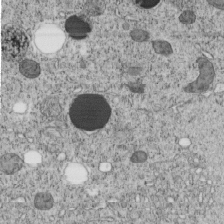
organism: C. elegans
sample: C. elegans embryo early stage